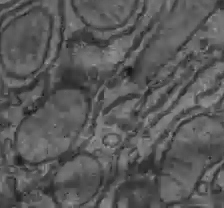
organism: C57BL Mouse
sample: Liver